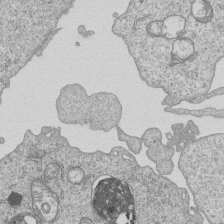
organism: Human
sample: MDA-MB-231 cells